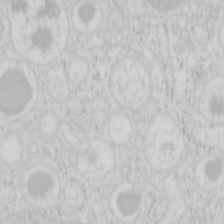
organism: Mouse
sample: Pancreas